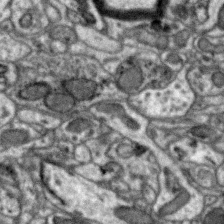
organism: Zebra finch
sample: Brain